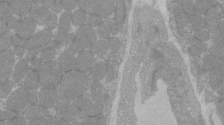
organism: C57BL Mouse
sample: Tibialis anterior muscle cell